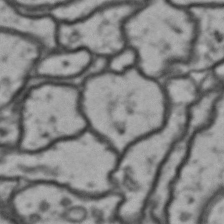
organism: Drosophila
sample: Brain